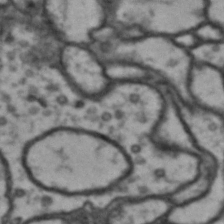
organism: Drosophila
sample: Brain